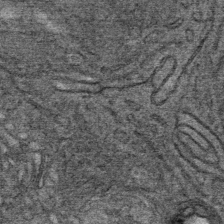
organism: Mouse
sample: Mouse Salivary gland